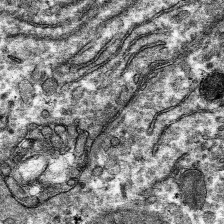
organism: Mouse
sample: Mouse hepatocytes